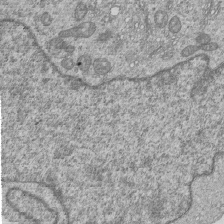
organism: Human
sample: MDA-MB-231 cells